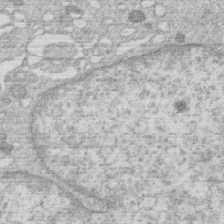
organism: Human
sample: Macrophage cells